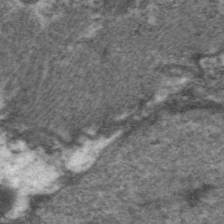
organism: C. elegans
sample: Pharynx